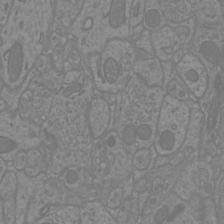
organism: Mouse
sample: Cortical neurons